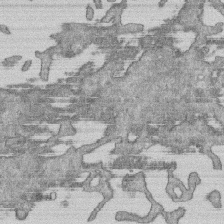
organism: Human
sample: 1205lu cells